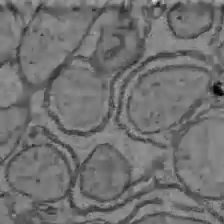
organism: C57BL Mouse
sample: Liver